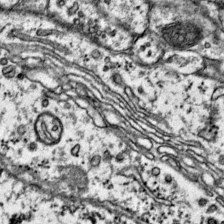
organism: Mouse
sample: Primary visual cortex